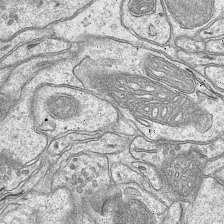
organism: Mouse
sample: CA1 Hippocampus